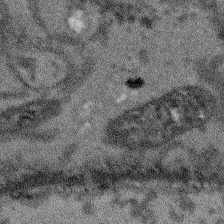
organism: Arabidopsis thaliana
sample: Root tip